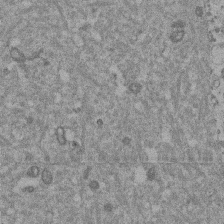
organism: Mouse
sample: Dividing mouse embryo 1 cell stage